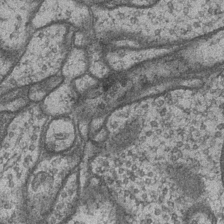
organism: Drosophila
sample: Optic medulla